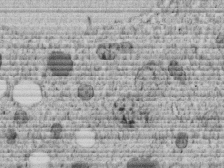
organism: C. elegans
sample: C. elegans embryo early stage